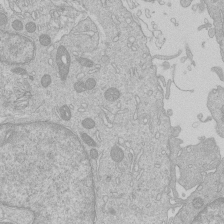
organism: Human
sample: Macrophage cells